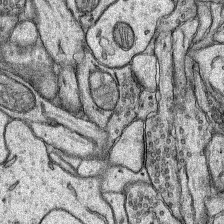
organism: Rat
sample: Hippocampus